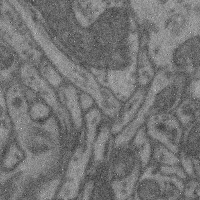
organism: Mouse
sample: Cerebral cortex